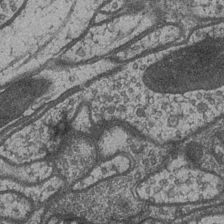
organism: Drosophila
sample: Optic medulla